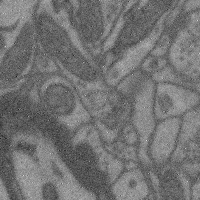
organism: Mouse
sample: Cerebral cortex